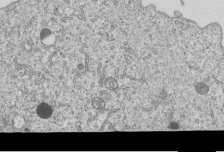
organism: Human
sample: MDA-MB-231 cells